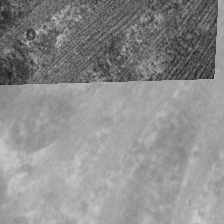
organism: C. elegans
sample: Pharynx